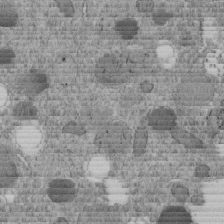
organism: C. elegans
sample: C. elegans embryo early stage